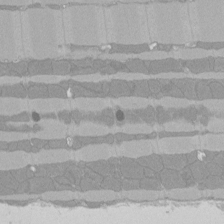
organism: Rat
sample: Left ventricle